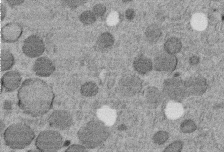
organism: C. elegans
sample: C. elegans embryo early stage